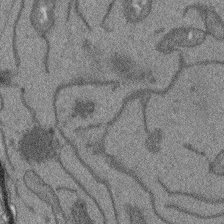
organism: Arabidopsis thaliana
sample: Root tip